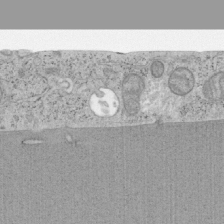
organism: Human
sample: HeLa cells